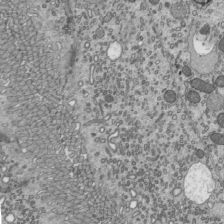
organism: Mouse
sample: Mouse epididymis efferent ductule cilia